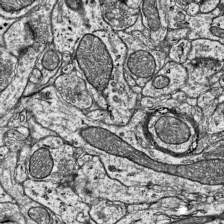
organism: Mouse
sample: Visual Cortex